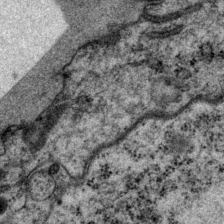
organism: P. pacificus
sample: Pharynx